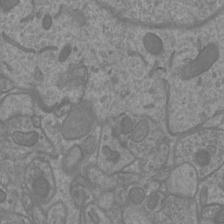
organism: Mouse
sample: Cortical neurons